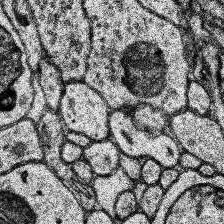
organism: Human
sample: Temporal Lobe